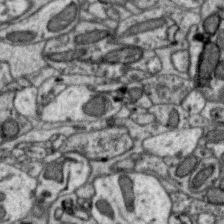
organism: Zebra finch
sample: Brain